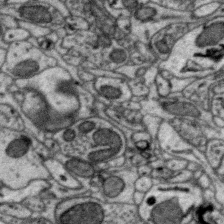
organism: Zebra finch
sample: Brain